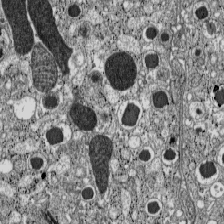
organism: C57BL Mouse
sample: Pancreatic islet